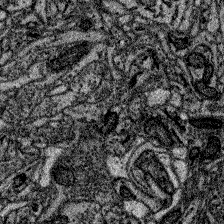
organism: Zebrafish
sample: Larval olfactory bulb